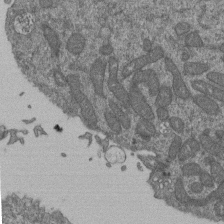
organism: Human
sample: Retinal organoid Rod and Cone cells